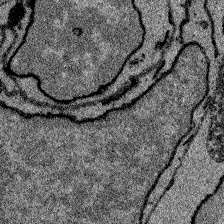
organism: Zebrafish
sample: Larval olfactory bulb